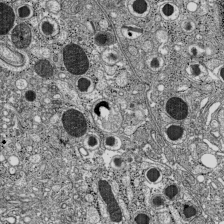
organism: C57BL Mouse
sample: Pancreatic islet